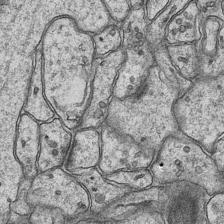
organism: Mouse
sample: CA1 Hippocampus